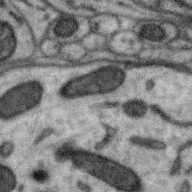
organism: Zebra finch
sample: Brain